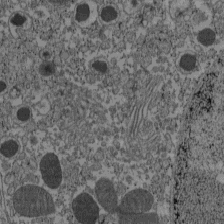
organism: C57BL Mouse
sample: Pancreatic islet